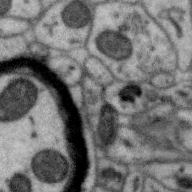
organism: Zebra finch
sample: Brain